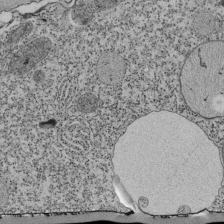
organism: Tetrahymena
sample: Cilia in tetrahymena